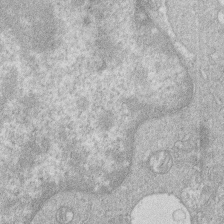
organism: Human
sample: Macrophage cells